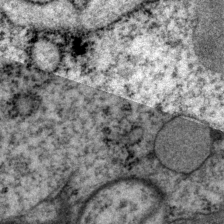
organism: P. pacificus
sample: Pharynx